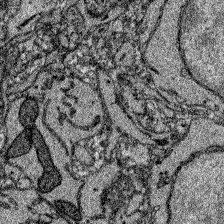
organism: Zebrafish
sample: Larval olfactory bulb